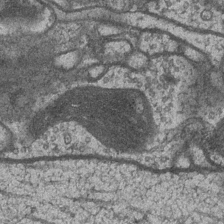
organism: Drosophila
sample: Optic medulla